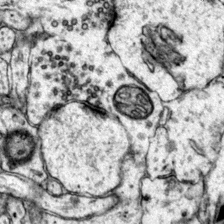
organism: Mouse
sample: Primary visual cortex